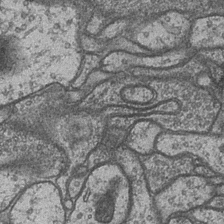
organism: Drosophila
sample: Optic medulla